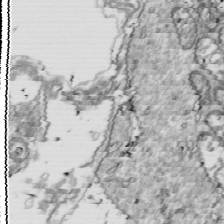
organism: Drosophila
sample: Cell division; meiosis; drosophila spermatocytes